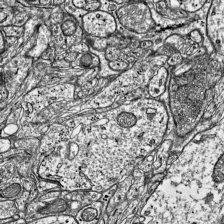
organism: Mouse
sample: Visual Cortex